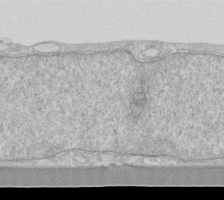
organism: Human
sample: Fibroblast cells